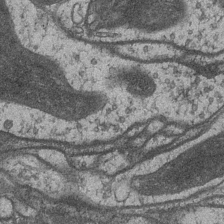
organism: Drosophila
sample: Optic medulla